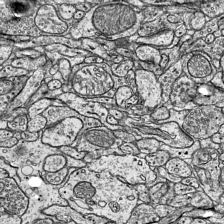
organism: Mouse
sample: Visual Cortex